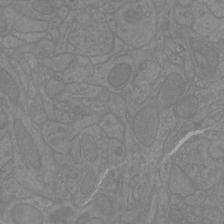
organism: Mouse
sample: Cortical neurons